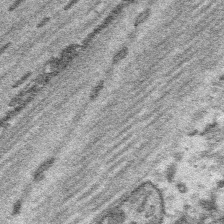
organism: Platynereis dumerilii